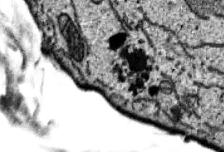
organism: Human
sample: HeLa cells